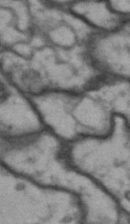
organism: Drosophila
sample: Brain